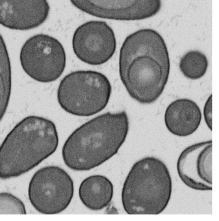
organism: B. subtilis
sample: Bacterial spore